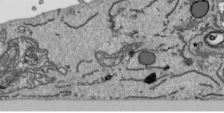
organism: Human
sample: Mitochondria in HCT116 cells